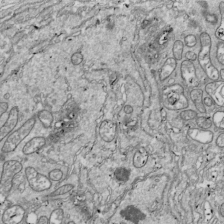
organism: Drosophila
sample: Cell division; meiosis; drosophila spermatocytes